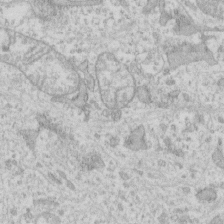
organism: Human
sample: Fibroblast cells